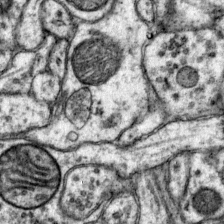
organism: Mouse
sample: Primary visual cortex